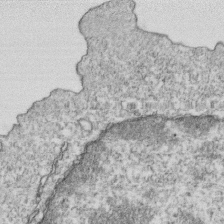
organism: Mouse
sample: Activated OT-1 CD8+ T cells